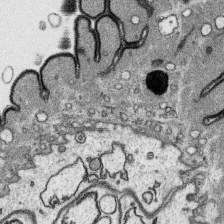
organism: Platynereis dumerilii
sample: Parapodia